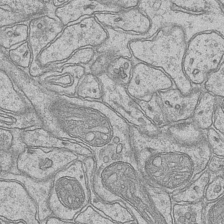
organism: Mouse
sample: CA1 Hippocampus